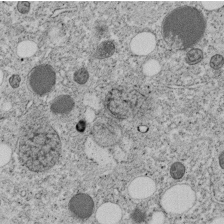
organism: C. elegans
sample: C. elegans embryo early stage